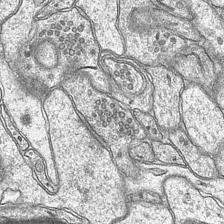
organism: Mouse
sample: CA1 Hippocampus